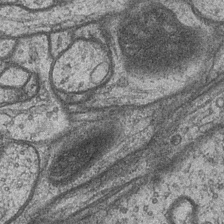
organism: Drosophila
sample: Optic medulla